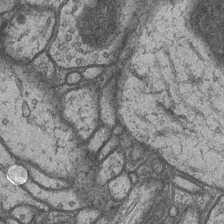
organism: Drosophila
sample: Optic medulla